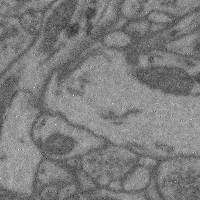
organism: Mouse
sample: Cerebral cortex